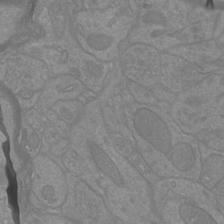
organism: Mouse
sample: Cortical neurons